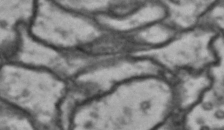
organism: Drosophila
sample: Brain